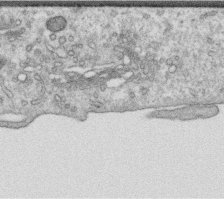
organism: Human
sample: Centriole in RPE cells